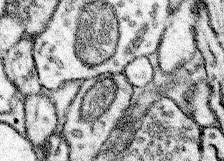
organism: Mouse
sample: Somatosensory cortex neuropil